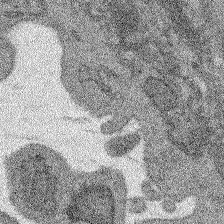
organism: Human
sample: HeLa cells